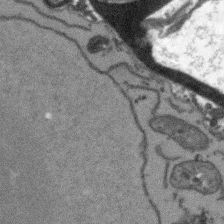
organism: Arabidopsis thaliana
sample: Root tip